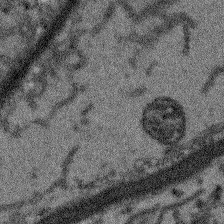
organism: Arabidopsis thaliana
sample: Root tip